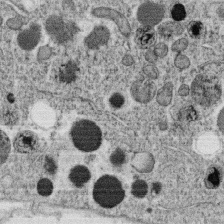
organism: C. elegans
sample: C. elegans oocyte; sperm cells